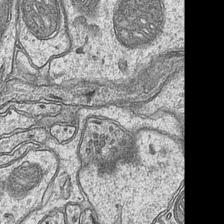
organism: Mouse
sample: CA1 Hippocampus